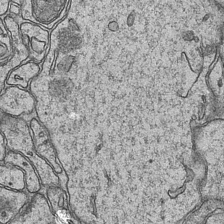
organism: Mouse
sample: CA1 Hippocampus